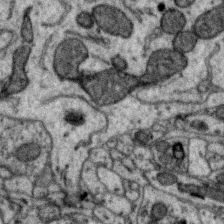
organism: Zebra finch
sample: Brain